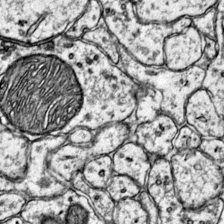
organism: Mouse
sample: Primary visual cortex